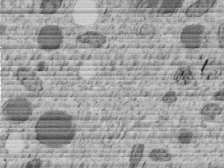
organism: C. elegans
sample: C. elegans embryo early stage